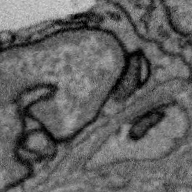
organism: Zebra finch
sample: Brain